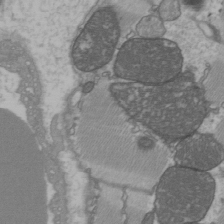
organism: C57BL Mouse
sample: Heart